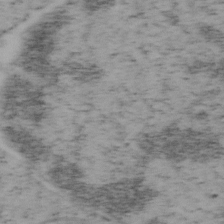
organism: Mouse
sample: OT-I killer T cells with ID8 ovarian cancer cells